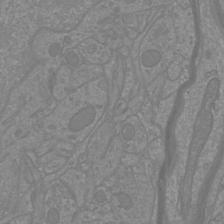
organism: Mouse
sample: Cortical neurons